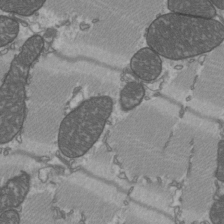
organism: C57BL Mouse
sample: Heart